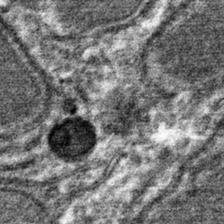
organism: Mouse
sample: Mouse hepatocytes